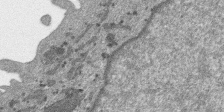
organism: Human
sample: Lung epithelial cells infected with SARS-CoV-2